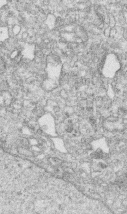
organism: Human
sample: HeLa cell HIV synapse